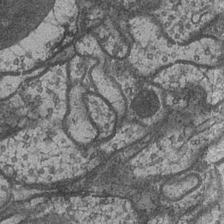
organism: Drosophila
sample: Optic medulla